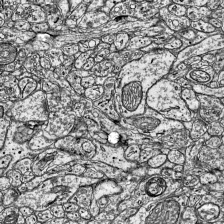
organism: Mouse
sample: Visual Cortex